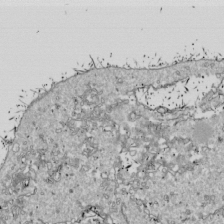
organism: Drosophila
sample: Cell division; meiosis; drosophila spermatocytes